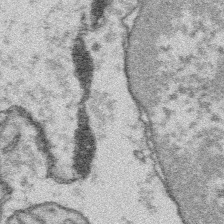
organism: Platynereis dumerilii